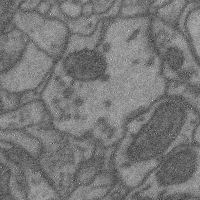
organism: Mouse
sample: Cerebral cortex